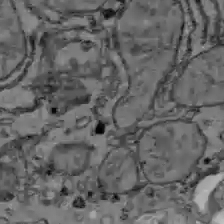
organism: C57BL Mouse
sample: Liver